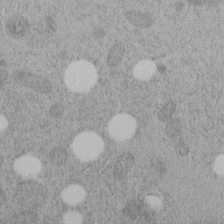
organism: C. elegans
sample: C. elegans embryo early stage